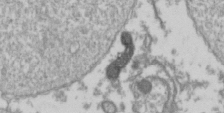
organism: Drosophila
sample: Cell division; meiosis; drosophila spermatocytes